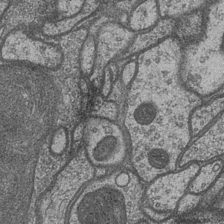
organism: Drosophila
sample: Optic medulla